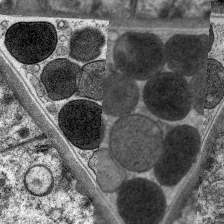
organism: C. elegans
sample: Pharynx